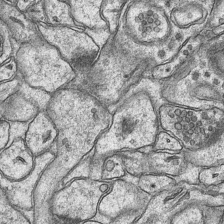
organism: Mouse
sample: CA1 Hippocampus